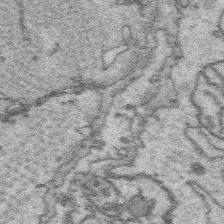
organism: Platynereis dumerilii